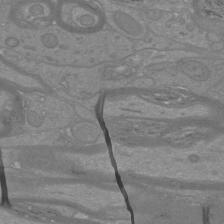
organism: Mouse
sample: Cortical neurons